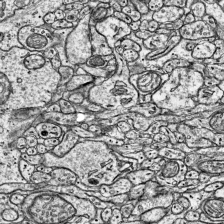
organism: Mouse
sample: Visual Cortex